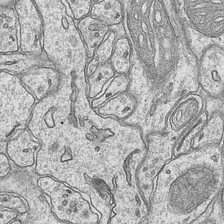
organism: Mouse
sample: CA1 Hippocampus